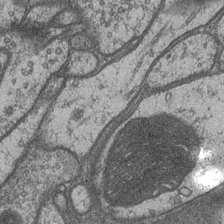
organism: Drosophila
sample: Optic medulla